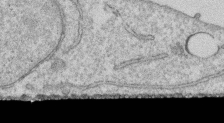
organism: Human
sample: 1205lu cells